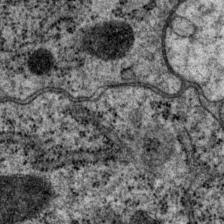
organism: P. pacificus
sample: Pharynx